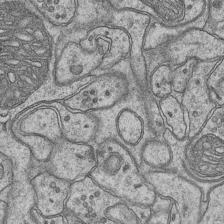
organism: Mouse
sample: CA1 Hippocampus